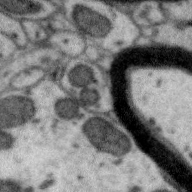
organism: Zebra finch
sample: Brain